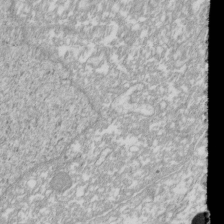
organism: Xenopus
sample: Cilia; centrioles in frog embryo cells